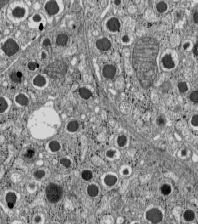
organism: C57BL Mouse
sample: Pancreatic islet